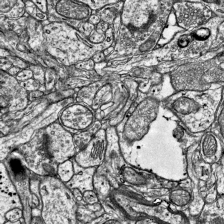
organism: Mouse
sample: Visual Cortex